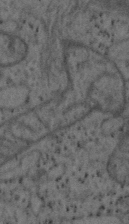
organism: Human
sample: HeLa cells